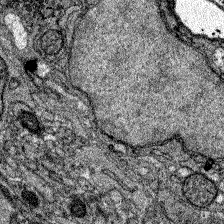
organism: Zebrafish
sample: Larval olfactory bulb